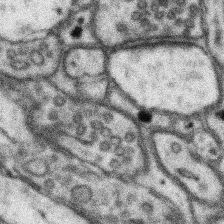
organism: Mouse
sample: Somatosensory cortex neuropil